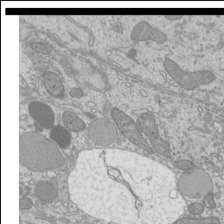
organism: Mouse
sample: Cilia; mouse epididymis